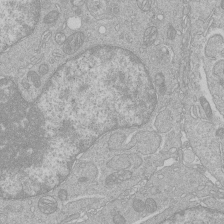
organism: Human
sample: Macrophage cells